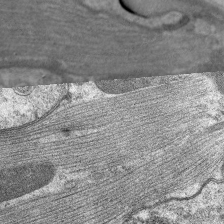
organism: C. elegans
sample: Pharynx